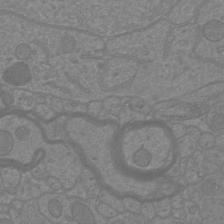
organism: Mouse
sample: Cortical neurons